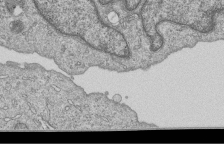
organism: Human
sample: MDA-MB-231 cells